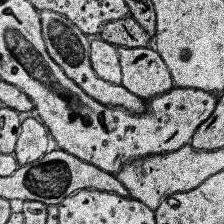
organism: Human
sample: Temporal Lobe